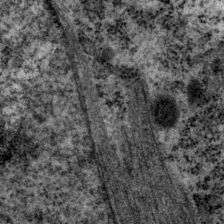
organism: P. pacificus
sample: Pharynx